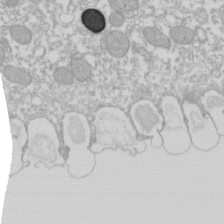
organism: Xenopus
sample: Cilia; centrioles in frog embryo cells